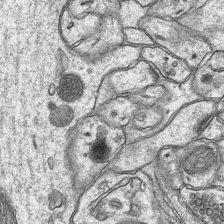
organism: Mouse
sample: CA1 Hippocampus